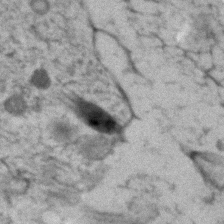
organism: Human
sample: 1205lu cells